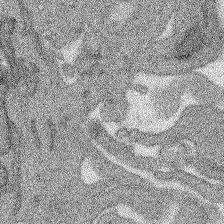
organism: Human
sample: HeLa cells